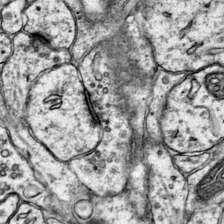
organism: Mouse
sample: Primary visual cortex